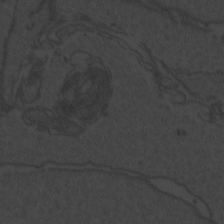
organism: Zebrafish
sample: Macrophage infected with Toxoplasma gondii